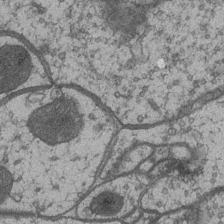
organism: Drosophila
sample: Optic medulla